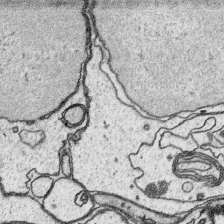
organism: Platynereis dumerilii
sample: Parapodia